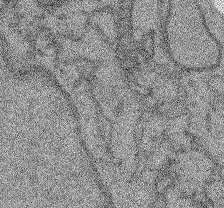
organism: Human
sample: HeLa cells